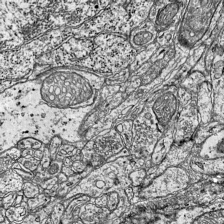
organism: Mouse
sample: Visual Cortex